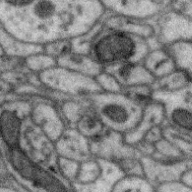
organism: Zebra finch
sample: Brain